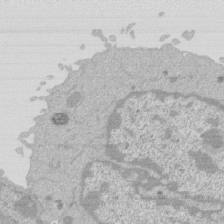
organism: Mouse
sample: Activated Pmel transgenic CD8+ T Cells